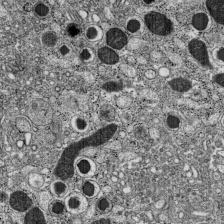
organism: C57BL Mouse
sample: Pancreatic islet